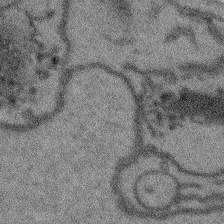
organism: Arabidopsis thaliana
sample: Root tip